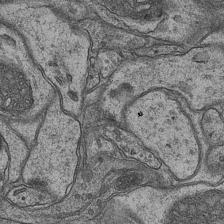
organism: Mouse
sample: CA1 Hippocampus